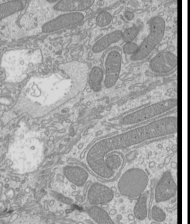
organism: Mouse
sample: Cilia; mouse epididymis